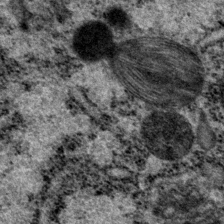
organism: P. pacificus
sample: Pharynx